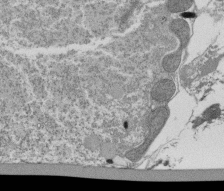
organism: Tetrahymena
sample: Cilia in tetrahymena